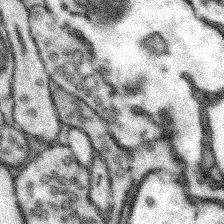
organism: Mouse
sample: Somatosensory cortex neuropil